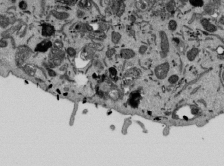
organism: Mouse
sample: ED-1 cell nuclei; centrioles